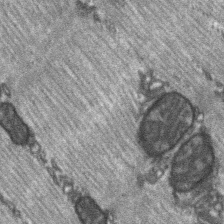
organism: C57BL Mouse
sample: Soleus